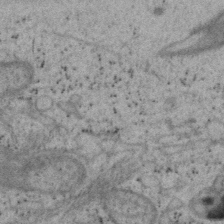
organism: Human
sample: HeLa cells